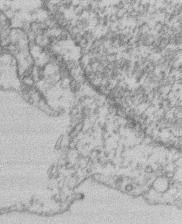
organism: Mouse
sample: T cell stromal cell synapse